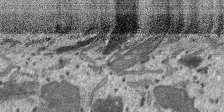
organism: Human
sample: Lung epithelial cells infected with SARS-CoV-2